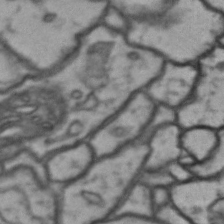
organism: Drosophila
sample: Brain